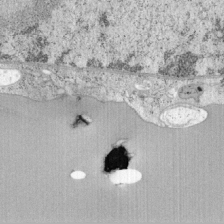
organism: Human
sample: HeLa cells